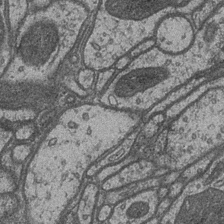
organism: Drosophila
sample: Optic medulla